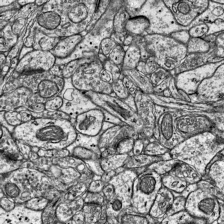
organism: Mouse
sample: Visual Cortex